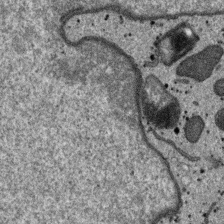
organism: Human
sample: Lung epithelial cells, uninfected (mock) control